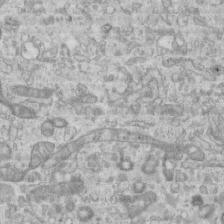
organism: Mouse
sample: Centriole in ependymal cells